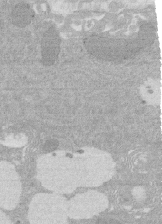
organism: Rat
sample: Salivary granule